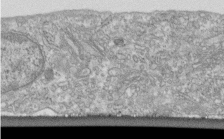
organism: Human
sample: Centriole in fibroblast cells